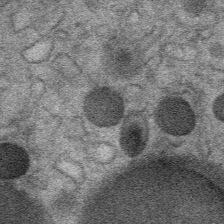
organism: Mouse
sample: Mouse Salivary gland